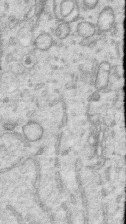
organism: Human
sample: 1205lu cells